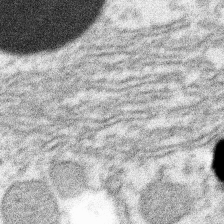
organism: Xenopus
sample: Cilia; centrioles in frog embryo cells